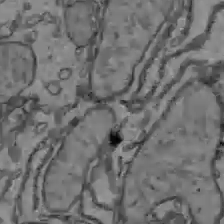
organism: C57BL Mouse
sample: Liver